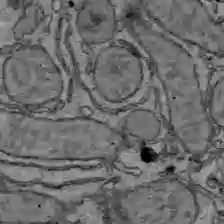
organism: C57BL Mouse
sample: Liver